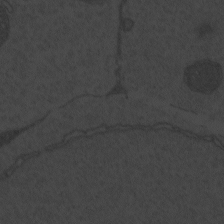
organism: Zebrafish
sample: Macrophage infected with Toxoplasma gondii